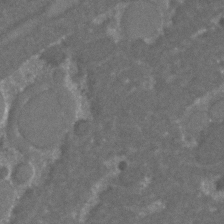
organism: C. elegans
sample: C. elegans embryo